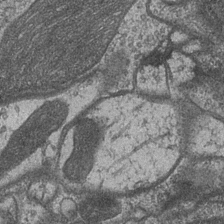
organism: Drosophila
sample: Optic medulla